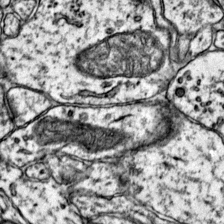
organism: Mouse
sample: Primary visual cortex